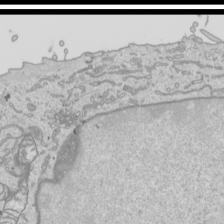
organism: Human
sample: Mitochondria in HCT116 cells